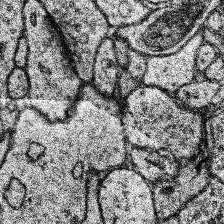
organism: Human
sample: Temporal Lobe